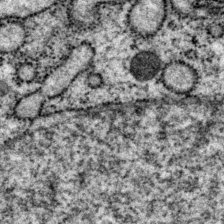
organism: P. pacificus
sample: Pharynx